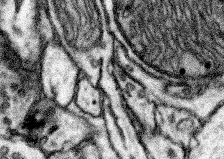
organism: Mouse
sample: Somatosensory cortex neuropil